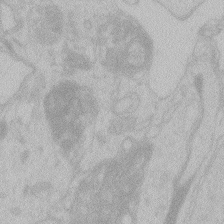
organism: Zebrafish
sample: Macrophage infected with Toxoplasma gondii